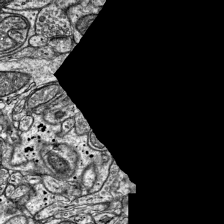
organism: Mouse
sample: Visual Cortex